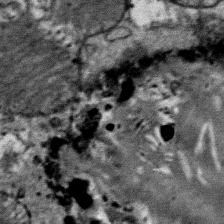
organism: Mouse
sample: Mouse Salivary gland